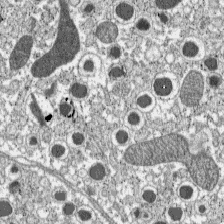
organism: C57BL Mouse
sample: Pancreatic islet